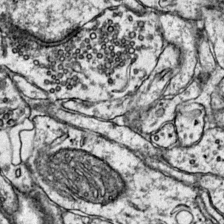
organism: Mouse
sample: Primary visual cortex